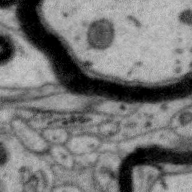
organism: Zebra finch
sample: Brain